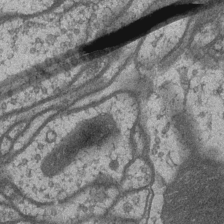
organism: Drosophila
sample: Optic medulla